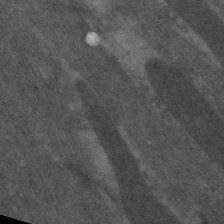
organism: C. elegans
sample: Pharynx